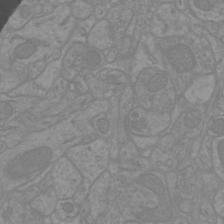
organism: Mouse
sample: Cortical neurons